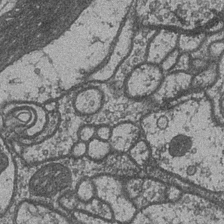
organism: Drosophila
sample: Optic medulla